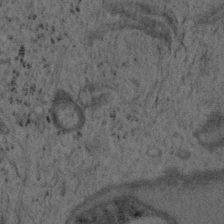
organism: Human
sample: HeLa cells